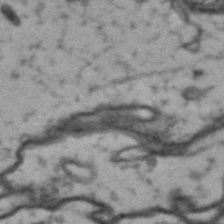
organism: Drosophila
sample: Brain